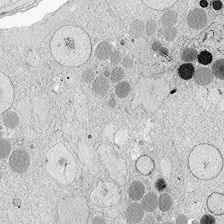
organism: Zebrafish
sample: Whole-Brain